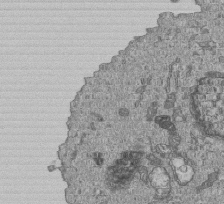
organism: Human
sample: MDA-MB-231 cells